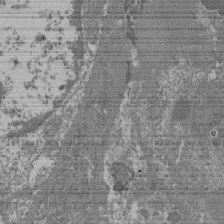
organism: Mouse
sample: Glomerulus